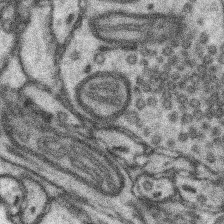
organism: Mouse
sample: Somatosensory cortex neuropil